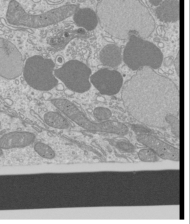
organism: Mouse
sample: Cilia; mouse epididymis